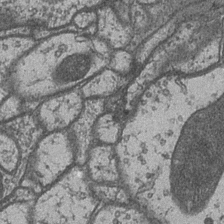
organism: Drosophila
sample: Optic medulla